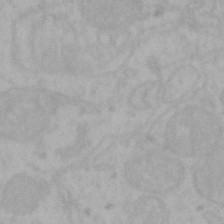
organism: Mouse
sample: Choroid plexus